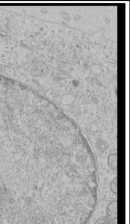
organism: Human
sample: Mitochondria in HCT116 cells